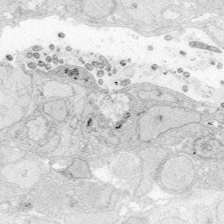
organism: Zebrafish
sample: Whole-Brain